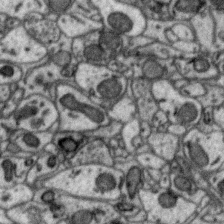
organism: Zebra finch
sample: Brain